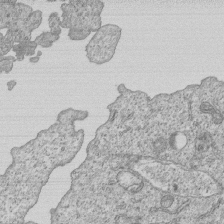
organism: Human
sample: MDA-MB-231 cells